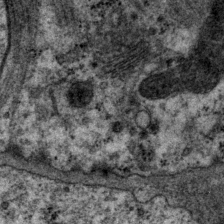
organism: P. pacificus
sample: Pharynx